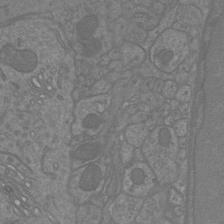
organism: Mouse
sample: Cortical neurons